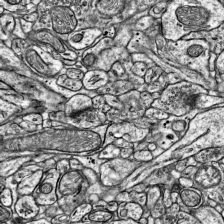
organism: Mouse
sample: Visual Cortex